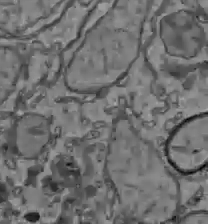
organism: C57BL Mouse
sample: Liver